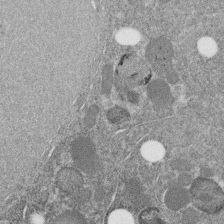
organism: C. elegans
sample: C. elegans embryo early stage